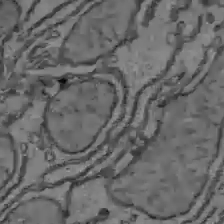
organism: C57BL Mouse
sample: Liver